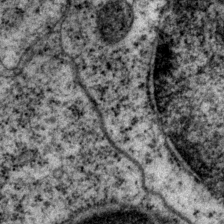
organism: P. pacificus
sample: Pharynx